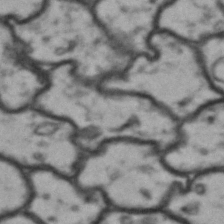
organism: Drosophila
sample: Brain